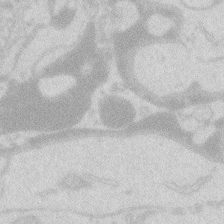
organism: Zebrafish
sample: Macrophage